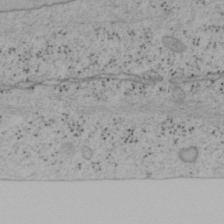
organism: Human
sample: HeLa cells